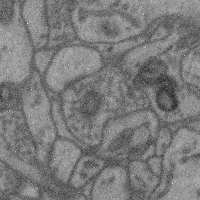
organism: Mouse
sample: Cerebral cortex